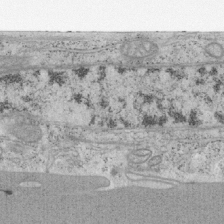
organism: Human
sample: HeLa cells